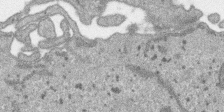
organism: Human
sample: Lung epithelial cells infected with SARS-CoV-2